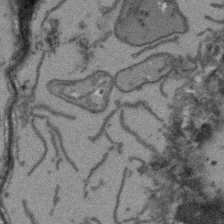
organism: Arabidopsis thaliana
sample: Root tip